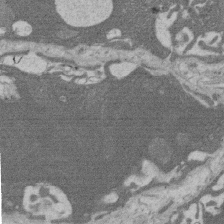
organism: Rat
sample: Salivary granule